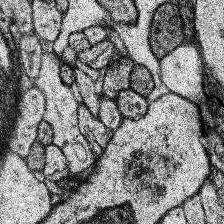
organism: Human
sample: Temporal Lobe